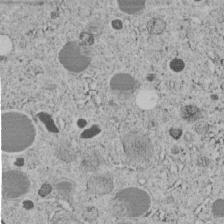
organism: C. elegans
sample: C. elegans embryo early stage